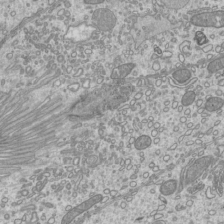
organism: Mouse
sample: Cilia; mouse epididymis